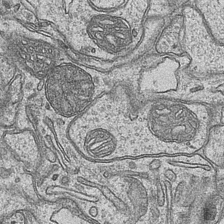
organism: Mouse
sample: CA1 Hippocampus